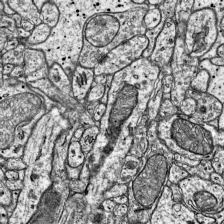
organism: Mouse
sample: Visual Cortex